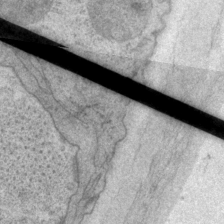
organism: P. pacificus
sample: Pharynx